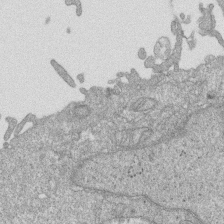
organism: Human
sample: HeLa cell HIV synapse